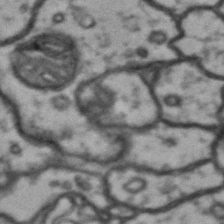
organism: Drosophila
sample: Brain